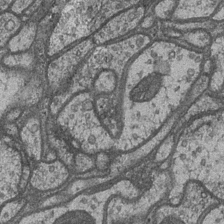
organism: Drosophila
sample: Optic medulla